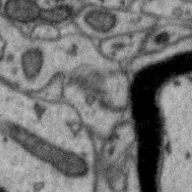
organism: Zebra finch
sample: Brain